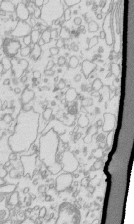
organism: Mouse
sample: Macrophages